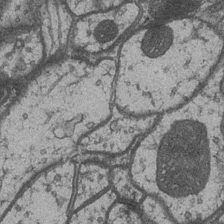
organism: Drosophila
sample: Optic medulla